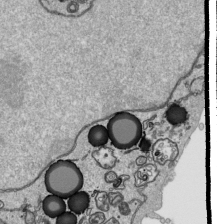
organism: Human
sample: Mitochondria in HCT116 cells